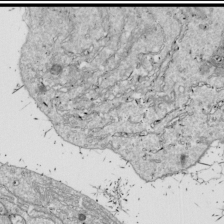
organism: Drosophila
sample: Cell division; meiosis; drosophila spermatocytes